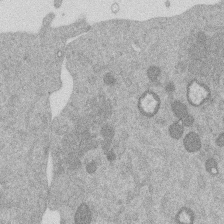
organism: Mouse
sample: Dividing mouse embryo 1 cell stage